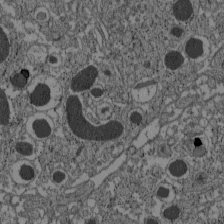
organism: C57BL Mouse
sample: Pancreatic islet